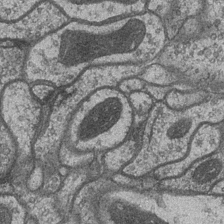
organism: Drosophila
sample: Optic medulla